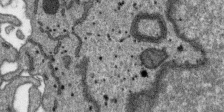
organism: Human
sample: Lung epithelial cells, uninfected (mock) control